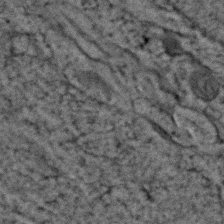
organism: Zebrafish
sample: Zebrafish embryo